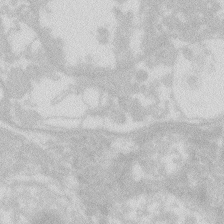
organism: Zebrafish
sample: Macrophage